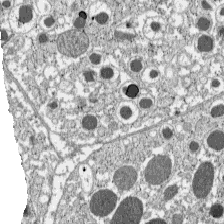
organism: C57BL Mouse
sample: Pancreatic islet